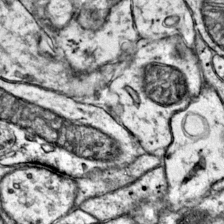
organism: Mouse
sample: Primary visual cortex